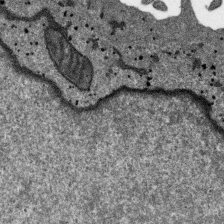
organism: Human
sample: Lung epithelial cells, uninfected (mock) control